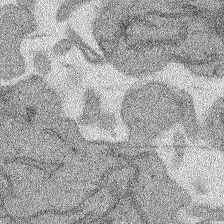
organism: Human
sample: HeLa cells